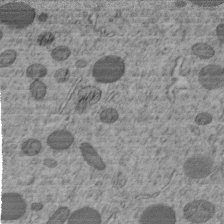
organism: C. elegans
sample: C. elegans embryo early stage